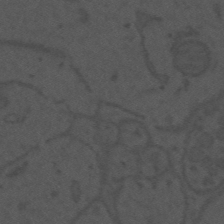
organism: Mouse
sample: Suprachiasmatic nucleus